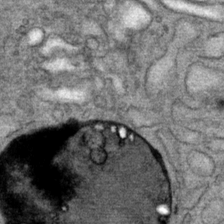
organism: Mouse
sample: Mouse Salivary gland